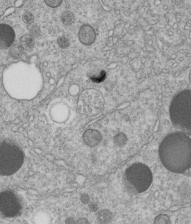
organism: C. elegans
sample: C. elegans embryo early stage